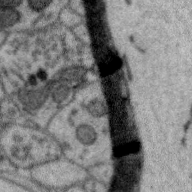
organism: Zebra finch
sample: Brain